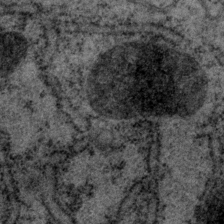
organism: P. pacificus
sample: Pharynx